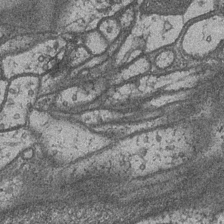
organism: Drosophila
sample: Optic medulla